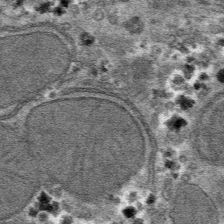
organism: Mouse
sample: Mouse hepatocytes